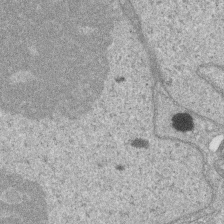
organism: Human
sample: HeLa cell HIV synapse